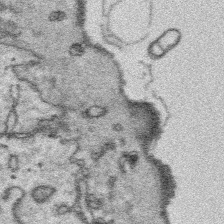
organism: Platynereis dumerilii